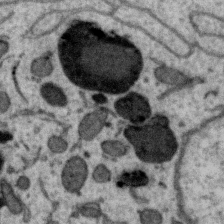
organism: Zebra finch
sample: Brain